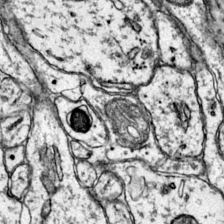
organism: Mouse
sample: Primary visual cortex